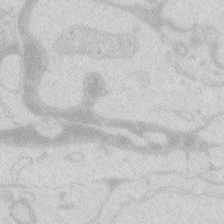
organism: Zebrafish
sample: Macrophage